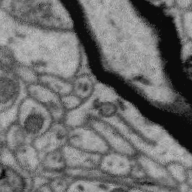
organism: Zebra finch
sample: Brain